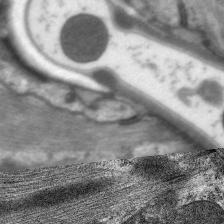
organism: C. elegans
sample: Pharynx